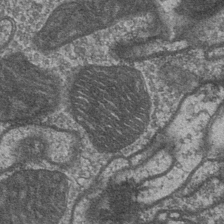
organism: Drosophila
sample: Optic medulla